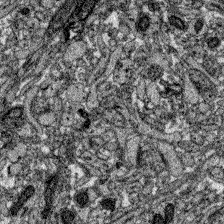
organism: Zebrafish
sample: Larval olfactory bulb